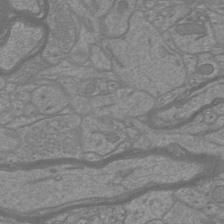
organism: Mouse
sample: Cortical neurons